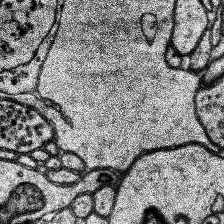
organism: Human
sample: Temporal Lobe